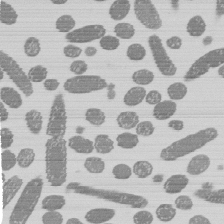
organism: E. coli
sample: Bacterial nucleoid